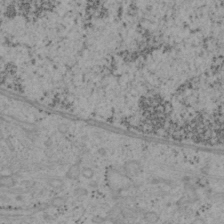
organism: Human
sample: HeLa cells